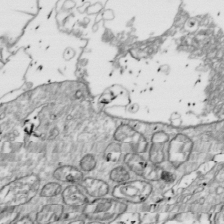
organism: Drosophila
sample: Cell division; meiosis; drosophila spermatocytes